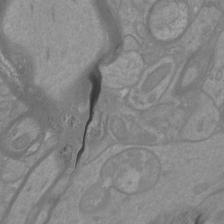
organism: Mouse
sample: Cortical neurons